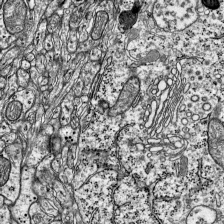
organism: Mouse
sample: Visual Cortex